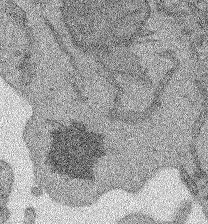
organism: Human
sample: HeLa cells